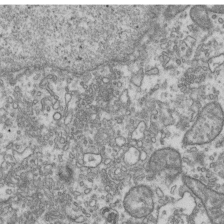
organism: Human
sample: Activated Jurkat CD4+ T cells